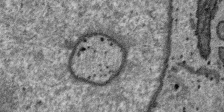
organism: Human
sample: Lung epithelial cells, uninfected (mock) control